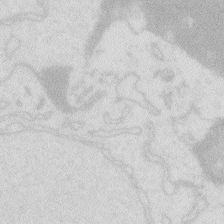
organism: Zebrafish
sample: Macrophage